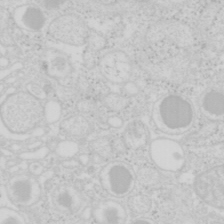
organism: Mouse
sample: Pancreas